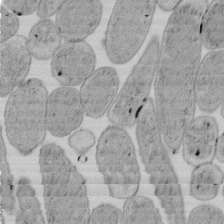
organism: E. coli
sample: Bacterial nucleoid